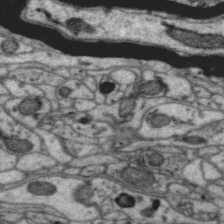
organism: Zebra finch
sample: Brain